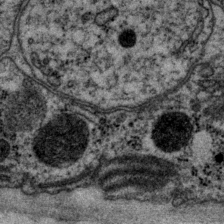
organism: P. pacificus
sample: Pharynx